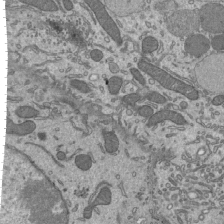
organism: Mouse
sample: Mouse epididymis efferent ductule cilia